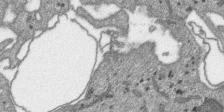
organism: Human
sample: Lung epithelial cells infected with SARS-CoV-2